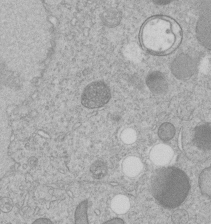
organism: C. elegans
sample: C. elegans embryo early stage